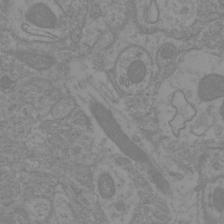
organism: Mouse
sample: Cortical neurons